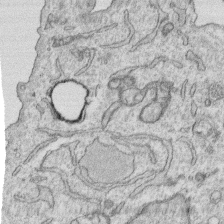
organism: Human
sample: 1205lu cells